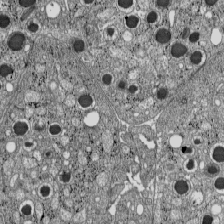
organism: C57BL Mouse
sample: Pancreatic islet